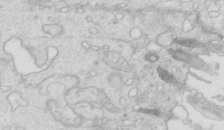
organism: Mouse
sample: Multiciliated cells